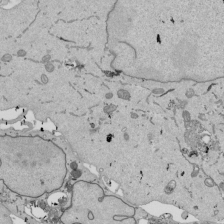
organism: Mouse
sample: ED-1 cell nuclei; centrioles